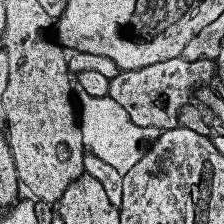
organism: Human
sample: Temporal Lobe